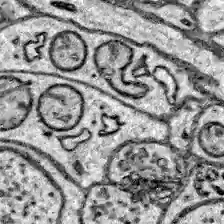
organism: Zebrafish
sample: Brain